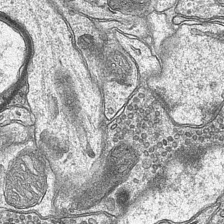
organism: Mouse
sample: CA1 Hippocampus